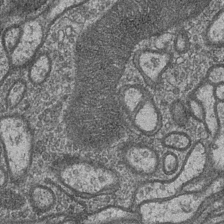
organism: Drosophila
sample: Optic medulla